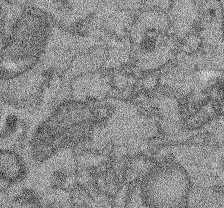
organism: Human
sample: HeLa cells